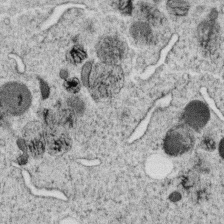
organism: C. elegans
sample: C. elegans oocyte; sperm cells